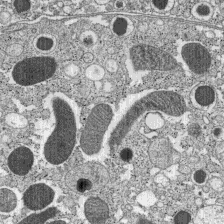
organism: C57BL Mouse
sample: Pancreatic islet